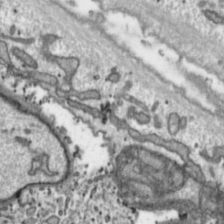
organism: Toxoplasma gondii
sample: Parasites in a vacuole inside a host cell